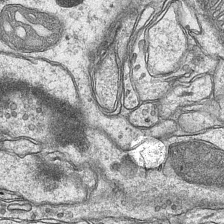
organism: Mouse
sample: CA1 Hippocampus